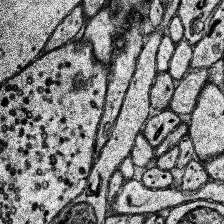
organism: Human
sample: Temporal Lobe